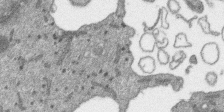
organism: Human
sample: Lung epithelial cells infected with SARS-CoV-2